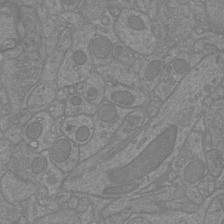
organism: Mouse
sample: Cortical neurons